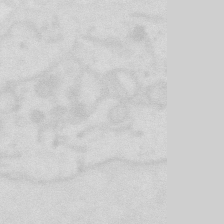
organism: Human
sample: HeLa cells